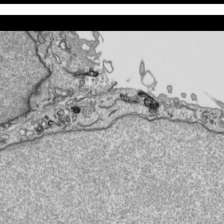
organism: Human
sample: Mitochondria in HCT116 cells